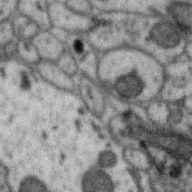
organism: Zebra finch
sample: Brain